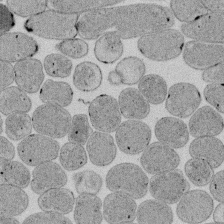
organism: E. coli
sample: Bacterial nucleoid